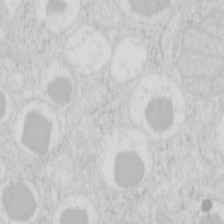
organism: Mouse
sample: Pancreas